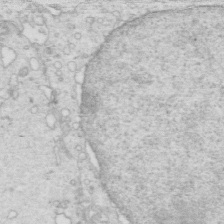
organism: Mouse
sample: Multiciliated cells